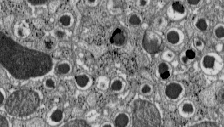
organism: C57BL Mouse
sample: Pancreatic islet